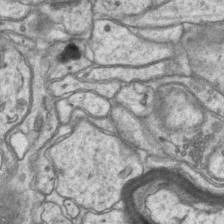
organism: Mouse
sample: CA1 Hippocampus